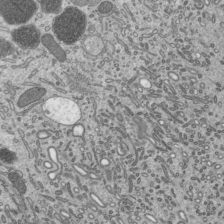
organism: Mouse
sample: Mouse epididymis efferent ductule cilia